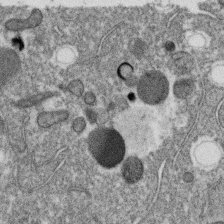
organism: C. elegans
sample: C. elegans oocyte; sperm cells